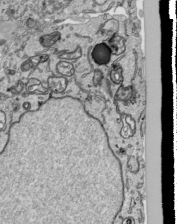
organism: Human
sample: Mitochondria in HCT116 cells